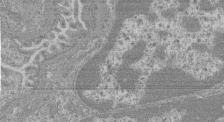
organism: Mouse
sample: Glomerulus